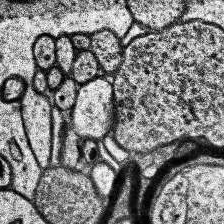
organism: Human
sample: Temporal Lobe